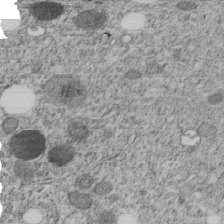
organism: C. elegans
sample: C. elegans embryo early stage